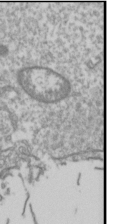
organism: Drosophila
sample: Cell division; meiosis; drosophila spermatocytes